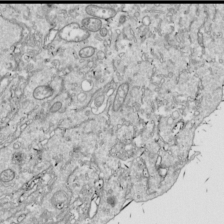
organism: Drosophila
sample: Cell division; meiosis; drosophila spermatocytes